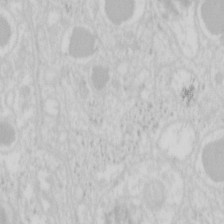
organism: Mouse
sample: Pancreas